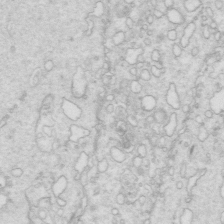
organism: Mouse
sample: Multiciliated cells